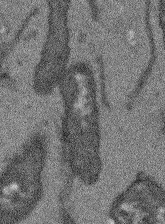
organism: Arabidopsis thaliana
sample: Root tip